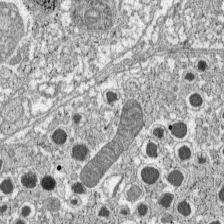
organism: C57BL Mouse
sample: Pancreatic islet